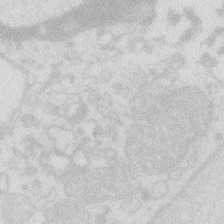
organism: Zebrafish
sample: Macrophage